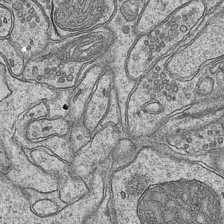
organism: Mouse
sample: CA1 Hippocampus